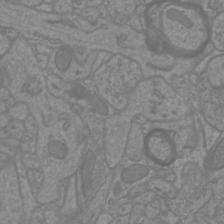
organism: Mouse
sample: Cortical neurons